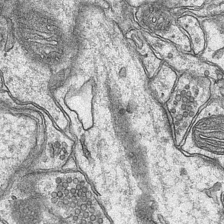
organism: Mouse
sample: CA1 Hippocampus